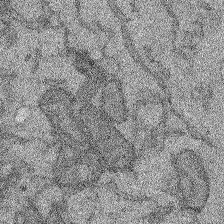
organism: Human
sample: HeLa cells